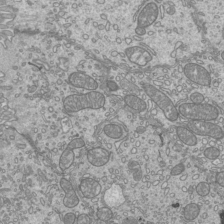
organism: Mouse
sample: Cilia; mouse epididymis